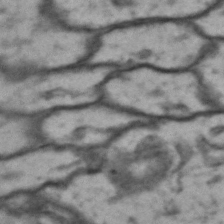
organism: Drosophila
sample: Brain